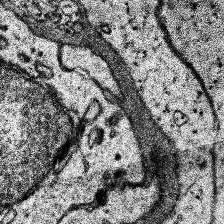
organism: Human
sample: Temporal Lobe